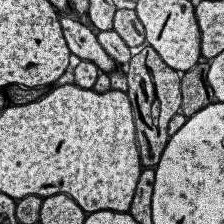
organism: Human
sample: Temporal Lobe